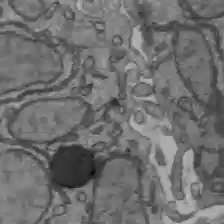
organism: C57BL Mouse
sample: Liver